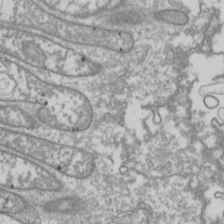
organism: Drosophila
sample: Cell division; meiosis; drosophila spermatocytes